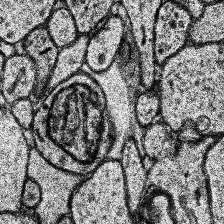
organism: Human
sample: Temporal Lobe